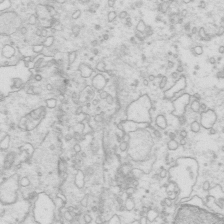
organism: Mouse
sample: Multiciliated cells